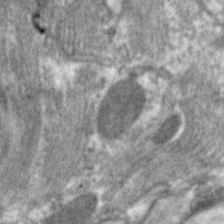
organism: C. elegans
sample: Pharynx